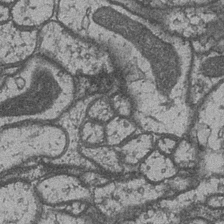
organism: Drosophila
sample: Optic medulla